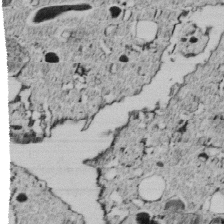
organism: C. elegans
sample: C. elegans embryo early stage